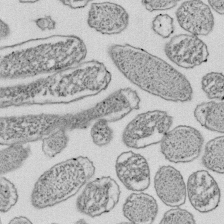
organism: E. coli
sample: Bacterial nucleoid